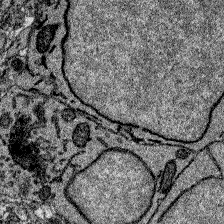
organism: Zebrafish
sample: Larval olfactory bulb